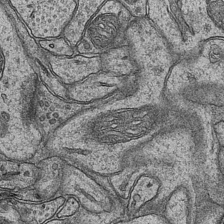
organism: Mouse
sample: CA1 Hippocampus